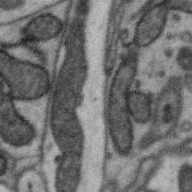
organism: Zebra finch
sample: Brain